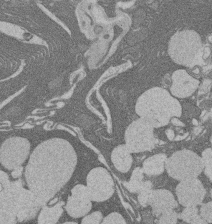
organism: Rat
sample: Salivary granule